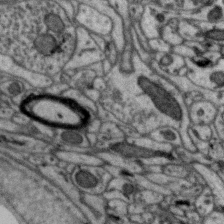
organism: Zebra finch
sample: Brain